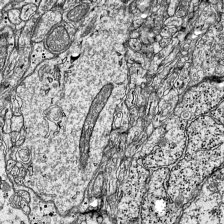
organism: Mouse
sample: Visual Cortex